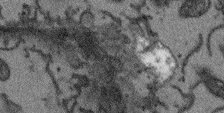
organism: Arabidopsis thaliana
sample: Root tip